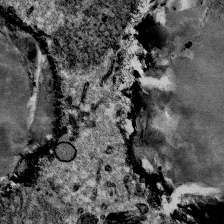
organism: Mouse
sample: Mouse Salivary gland